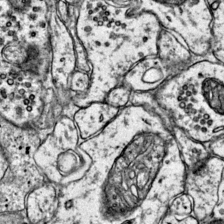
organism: Mouse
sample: Primary visual cortex